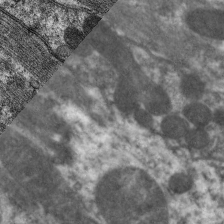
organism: C. elegans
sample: Pharynx